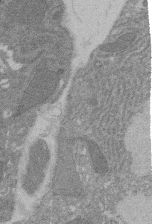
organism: Rat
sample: Salivary granule